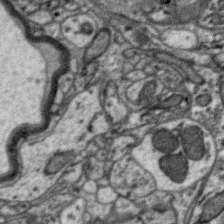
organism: Zebra finch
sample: Brain